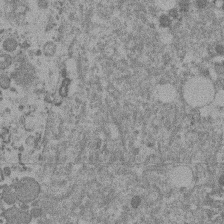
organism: Mouse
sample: Dividing mouse embryo 1 cell stage